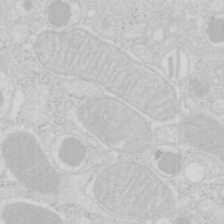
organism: Mouse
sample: Pancreas